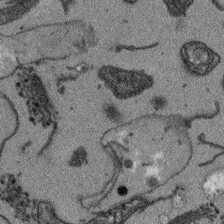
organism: Arabidopsis thaliana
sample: Root tip